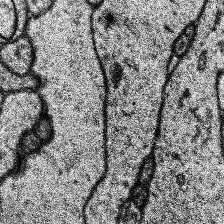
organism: Human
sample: Temporal Lobe